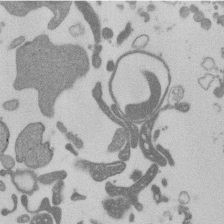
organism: Mouse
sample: Dividing mouse embryo 1 cell stage